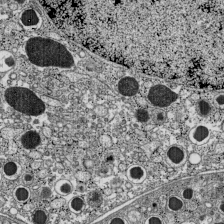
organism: C57BL Mouse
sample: Pancreatic islet